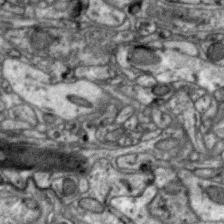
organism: Zebra finch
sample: Brain